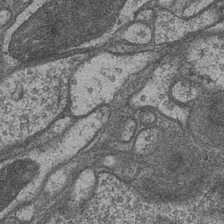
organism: Drosophila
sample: Optic medulla